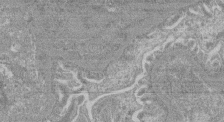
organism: Mouse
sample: Glomerulus